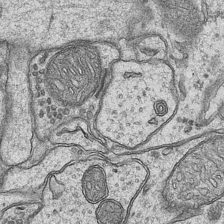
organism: Mouse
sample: CA1 Hippocampus